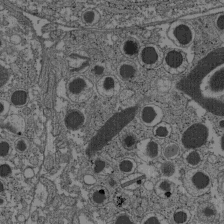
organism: C57BL Mouse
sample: Pancreatic islet